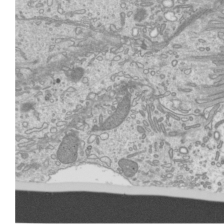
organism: Mouse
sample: Cilia; mouse epididymis